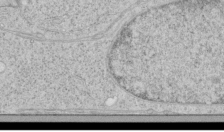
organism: Human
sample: Mitochondria in HCT116 cells